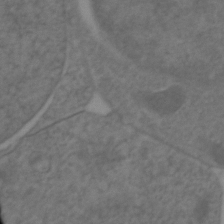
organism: Zebrafish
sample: Zebrafish embryo